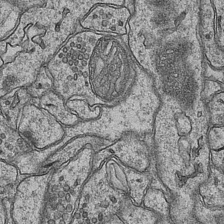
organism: Mouse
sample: CA1 Hippocampus